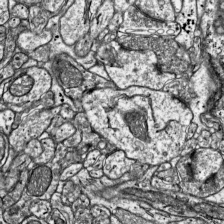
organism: Mouse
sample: Visual Cortex